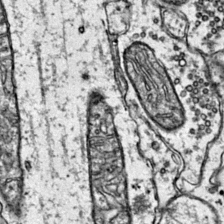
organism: Mouse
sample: Primary visual cortex